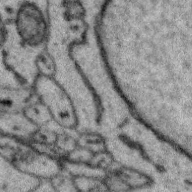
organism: Zebra finch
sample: Brain